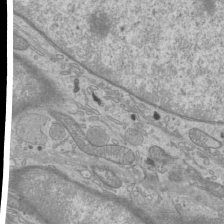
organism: Mouse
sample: Cilia; mouse epididymis